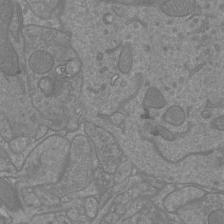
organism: Mouse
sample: Cortical neurons